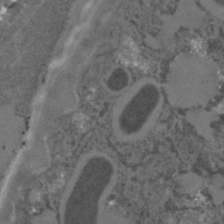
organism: C. elegans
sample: C. elegans embryo